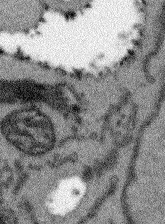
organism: Arabidopsis thaliana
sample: Root tip